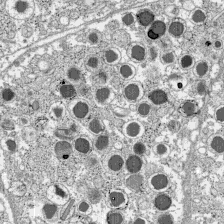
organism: C57BL Mouse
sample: Pancreatic islet